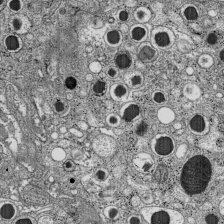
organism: C57BL Mouse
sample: Pancreatic islet